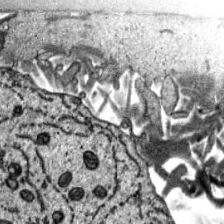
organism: Human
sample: HeLa cells